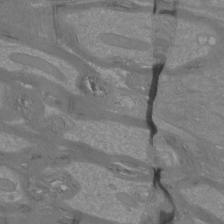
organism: Mouse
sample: Cortical neurons